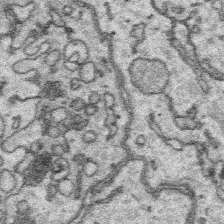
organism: Platynereis dumerilii